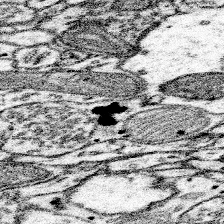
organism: Mouse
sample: Somatosensory cortex neuropil